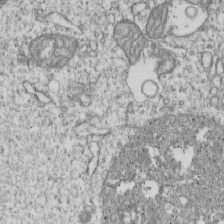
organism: Human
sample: MDA-MB-231 cells